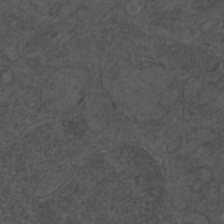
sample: Trachea